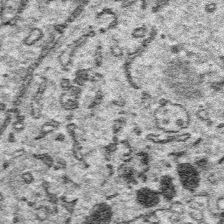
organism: Platynereis dumerilii